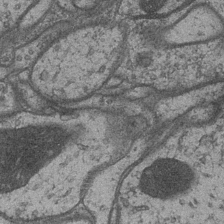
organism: Drosophila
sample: Optic medulla